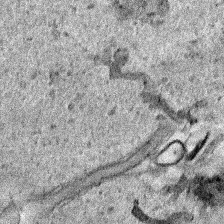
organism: Human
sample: Mitochondria in HCT116 cells